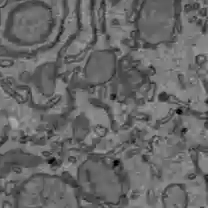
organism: C57BL Mouse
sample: Liver